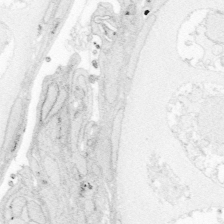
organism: Zebrafish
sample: Whole-Brain